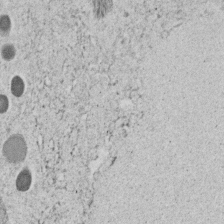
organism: C. elegans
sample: C. elegans embryo early stage